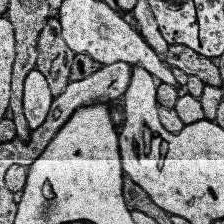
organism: Human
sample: Temporal Lobe